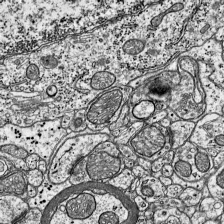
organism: Mouse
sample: Visual Cortex